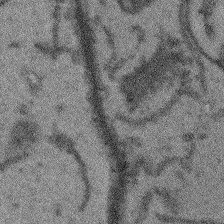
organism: Arabidopsis thaliana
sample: Root tip